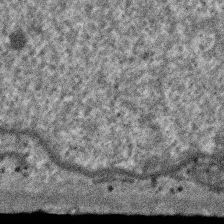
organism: Human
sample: Lung epithelial cells infected with SARS-CoV-2